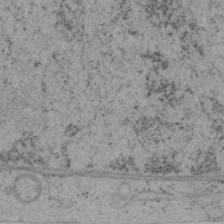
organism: Human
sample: HeLa cells